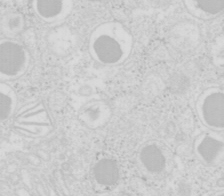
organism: Mouse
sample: Pancreas